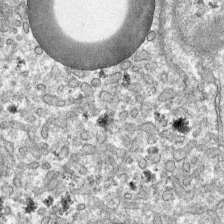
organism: Mouse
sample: Mouse hepatocytes